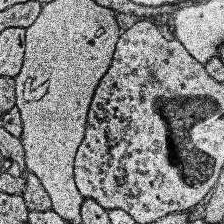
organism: Human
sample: Temporal Lobe